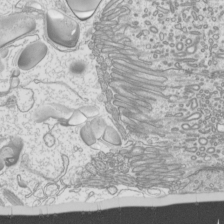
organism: Mouse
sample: Cilia; mouse epididymis